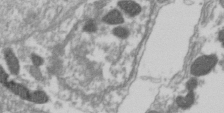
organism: Drosophila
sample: Cell division; meiosis; drosophila spermatocytes